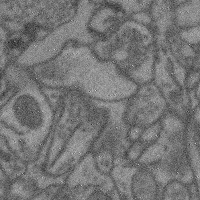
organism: Mouse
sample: Cerebral cortex